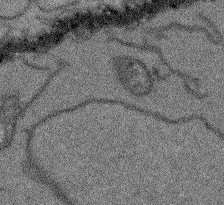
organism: Arabidopsis thaliana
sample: Root tip